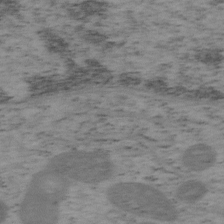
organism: Mouse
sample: OT-I killer T cells with ID8 ovarian cancer cells